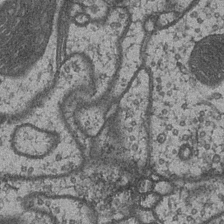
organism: Drosophila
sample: Optic medulla